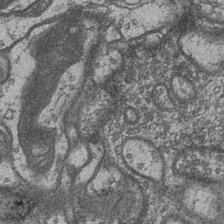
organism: Drosophila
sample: Optic medulla